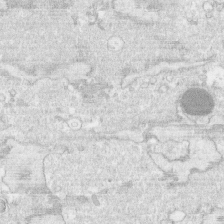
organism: Human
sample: CRL-1474